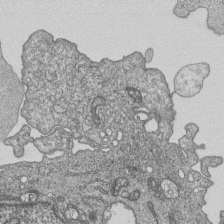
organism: Human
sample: MDA-MB-231 cells